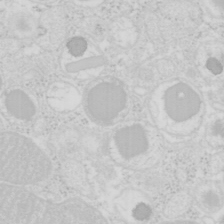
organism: Mouse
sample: Pancreas